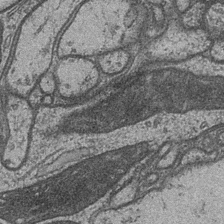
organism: Drosophila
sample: Optic medulla